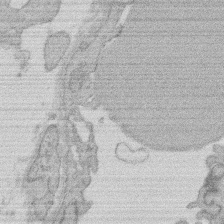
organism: Rat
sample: Salivary granule